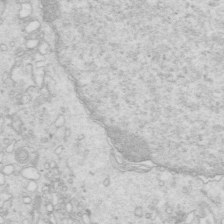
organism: Mouse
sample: Multiciliated cells